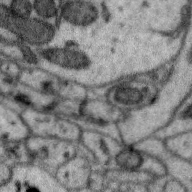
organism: Zebra finch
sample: Brain